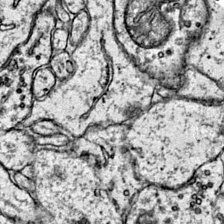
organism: Mouse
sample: Primary visual cortex